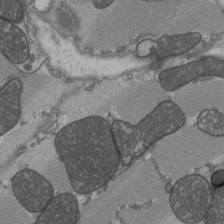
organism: C57BL Mouse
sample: Heart